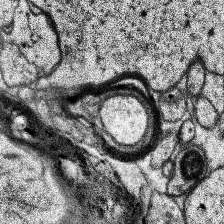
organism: Human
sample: Temporal Lobe